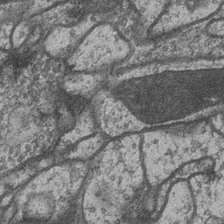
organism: Drosophila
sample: Optic medulla